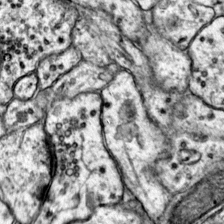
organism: Mouse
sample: Primary visual cortex